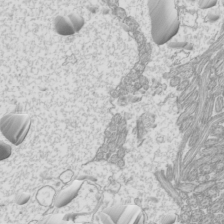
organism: Mouse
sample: Cilia; mouse epididymis